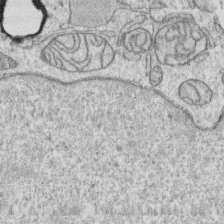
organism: Human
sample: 1205lu cells